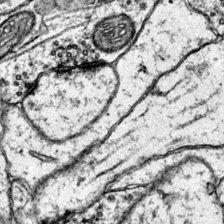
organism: Mouse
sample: Primary visual cortex